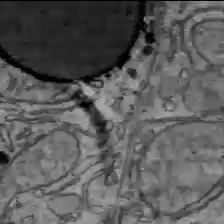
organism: C57BL Mouse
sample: Liver